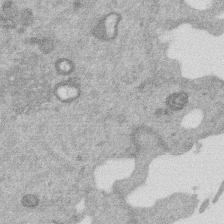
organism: Mouse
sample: Dividing mouse embryo 1 cell stage